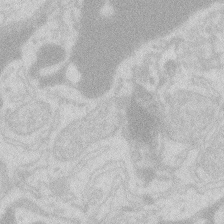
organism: Zebrafish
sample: Macrophage